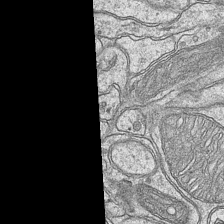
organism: Mouse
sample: CA1 Hippocampus